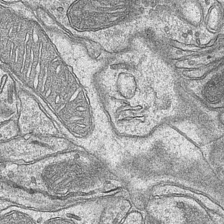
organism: Mouse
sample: CA1 Hippocampus